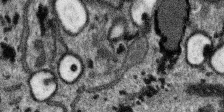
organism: Human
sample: Lung epithelial cells infected with SARS-CoV-2